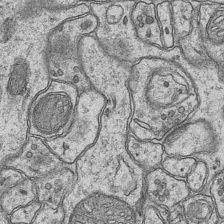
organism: Mouse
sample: CA1 Hippocampus